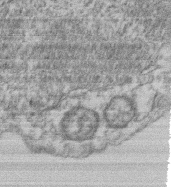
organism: Mouse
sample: T cell stromal cell synapse